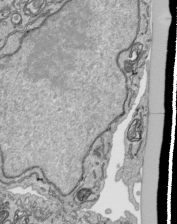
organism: Human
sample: Mitochondria in HCT116 cells